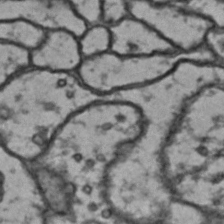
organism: Drosophila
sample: Brain